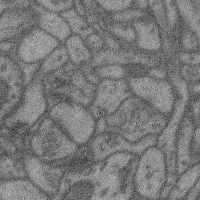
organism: Mouse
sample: Cerebral cortex